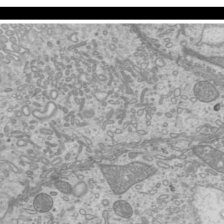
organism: Mouse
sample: Cilia; mouse epididymis